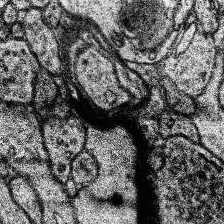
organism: Human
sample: Temporal Lobe